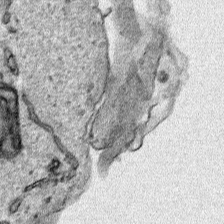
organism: Human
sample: Mitochondria in HCT116 cells